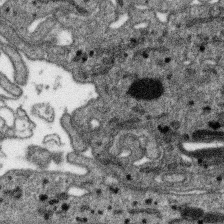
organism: Human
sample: Lung epithelial cells infected with SARS-CoV-2